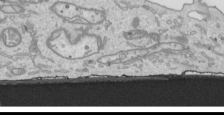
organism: Human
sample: Mitochondria in HCT116 cells